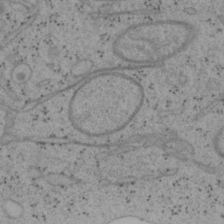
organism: Human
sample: HeLa cells